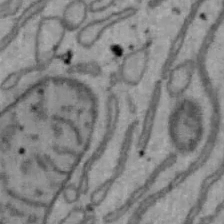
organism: Mouse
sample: Liver